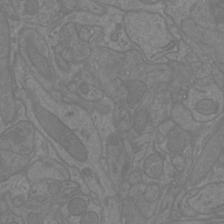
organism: Mouse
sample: Cortical neurons